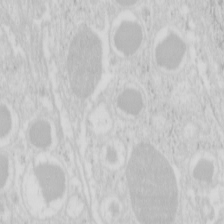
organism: Mouse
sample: Pancreas